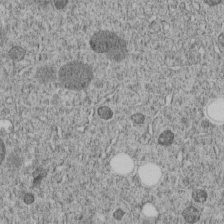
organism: C. elegans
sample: C. elegans embryo early stage